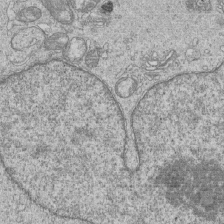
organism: Human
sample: MDA-MB-231 cells